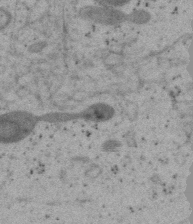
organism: Human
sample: HeLa cells